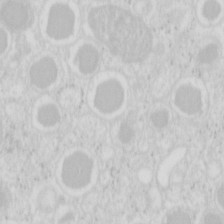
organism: Mouse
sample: Pancreas